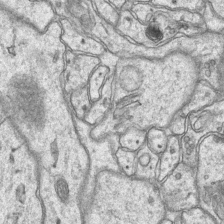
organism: Mouse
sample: CA1 Hippocampus